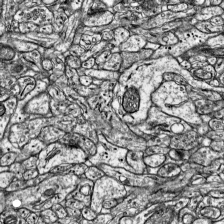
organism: Mouse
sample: Visual Cortex